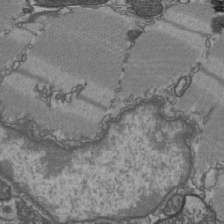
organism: C57BL Mouse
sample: Heart